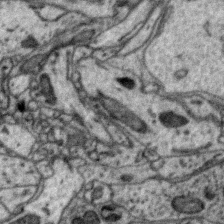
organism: Zebra finch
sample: Brain